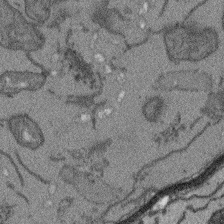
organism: Arabidopsis thaliana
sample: Root tip